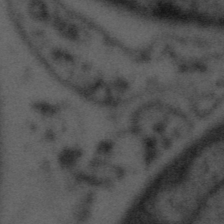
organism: Tuwongella immobilis